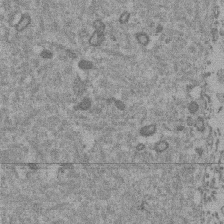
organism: Mouse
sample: Dividing mouse embryo 1 cell stage